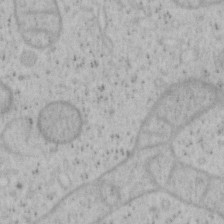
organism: Human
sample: HeLa cells